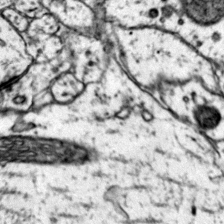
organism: Mouse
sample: Primary visual cortex